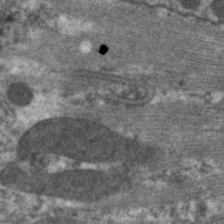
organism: C. elegans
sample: Pharynx